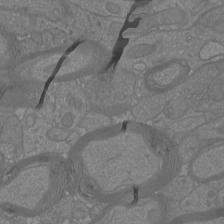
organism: Mouse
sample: Cortical neurons